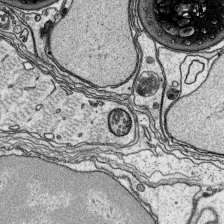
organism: Platynereis dumerilii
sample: Parapodia